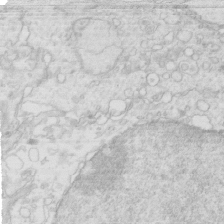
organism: Mouse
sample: Multiciliated cells